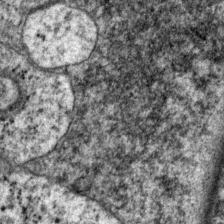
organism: P. pacificus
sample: Pharynx